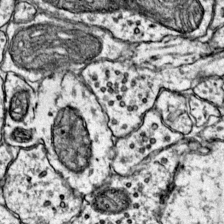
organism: Mouse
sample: Primary visual cortex